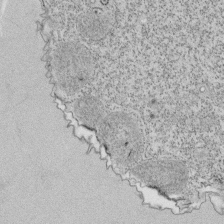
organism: Tetrahymena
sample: Cilia in tetrahymena